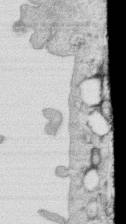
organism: Human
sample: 1205lu cells